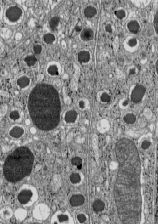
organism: C57BL Mouse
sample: Pancreatic islet